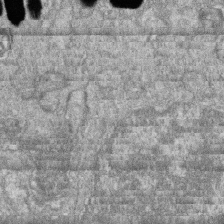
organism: Zebrafish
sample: Cilia; retinal pigment epithelium